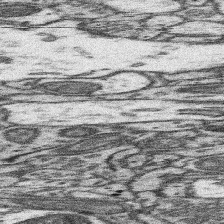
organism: Mouse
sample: Somatosensory cortex neuropil